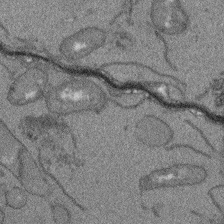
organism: Arabidopsis thaliana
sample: Root tip